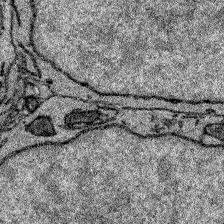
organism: Zebrafish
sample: Larval olfactory bulb